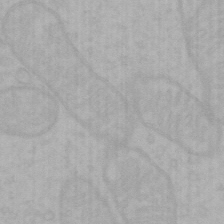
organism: Mouse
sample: Choroid plexus